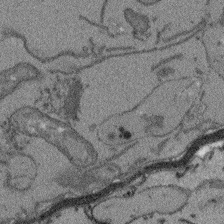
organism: Arabidopsis thaliana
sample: Root tip